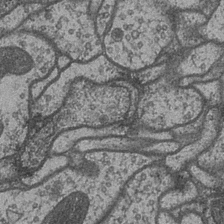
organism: Drosophila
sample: Optic medulla